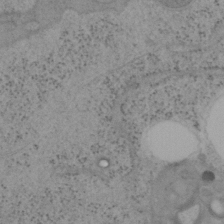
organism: Mouse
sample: OT-I killer T cells with ID8 ovarian cancer cells